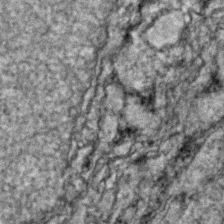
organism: Zebrafish